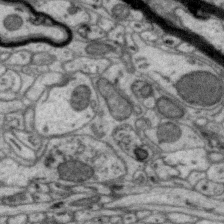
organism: Zebra finch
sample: Brain